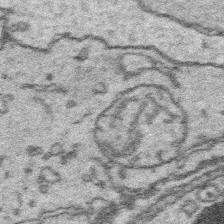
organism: Platynereis dumerilii